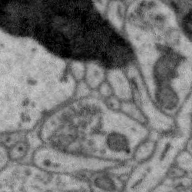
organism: Zebra finch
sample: Brain